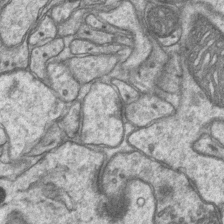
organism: Mouse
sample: CA1 Hippocampus